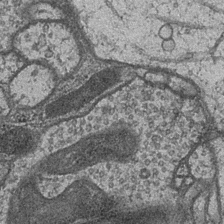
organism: Drosophila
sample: Optic medulla